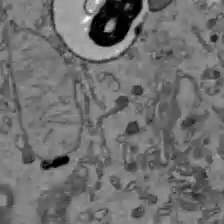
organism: C57BL Mouse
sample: Liver